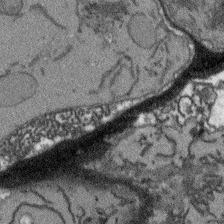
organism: Arabidopsis thaliana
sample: Root tip